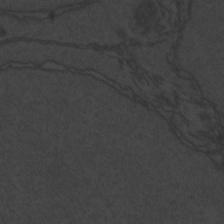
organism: Zebrafish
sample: Macrophage infected with Toxoplasma gondii